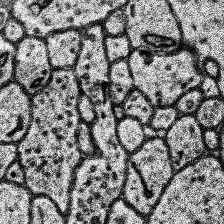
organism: Human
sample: Temporal Lobe